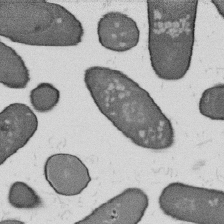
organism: B. subtilis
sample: Bacterial spore